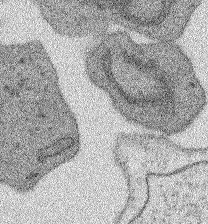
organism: Human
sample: HeLa cells